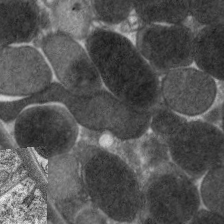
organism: C. elegans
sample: Pharynx